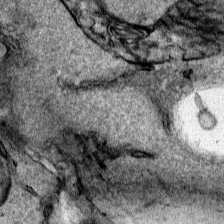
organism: Human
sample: Mitochondria in HCT116 cells